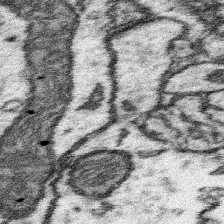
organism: Mouse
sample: Somatosensory cortex neuropil